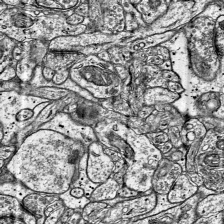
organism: Mouse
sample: Visual Cortex